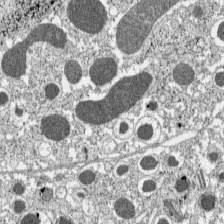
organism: C57BL Mouse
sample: Pancreatic islet